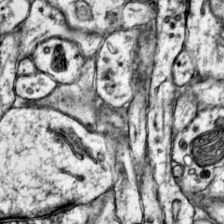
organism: Mouse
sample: Primary visual cortex